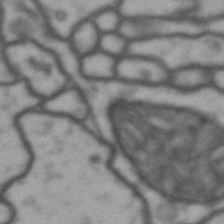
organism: Drosophila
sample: Brain